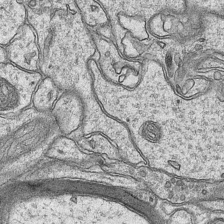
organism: Mouse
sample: CA1 Hippocampus